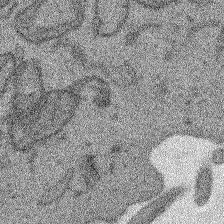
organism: Human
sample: HeLa cells